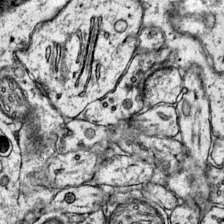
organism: Mouse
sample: Primary visual cortex